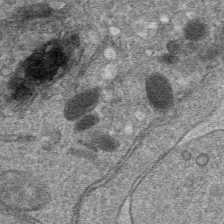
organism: Mouse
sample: Mouse hepatocytes